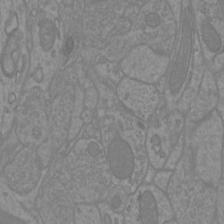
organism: Mouse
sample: Cortical neurons